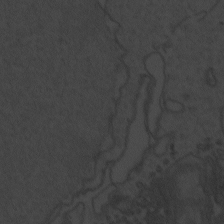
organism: Zebrafish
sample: Macrophage infected with Toxoplasma gondii